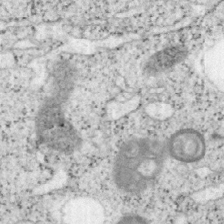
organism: Mouse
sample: OT-I killer T cells with ID8 ovarian cancer cells